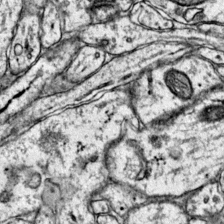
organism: Mouse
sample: Primary visual cortex